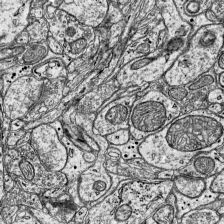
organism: Mouse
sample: Visual Cortex